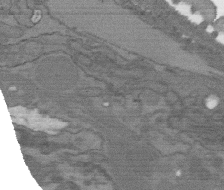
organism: C. elegans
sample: AFD neurons C. elegans